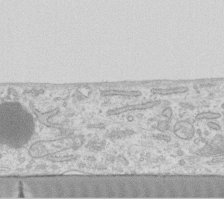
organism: Human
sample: Fibroblast cells